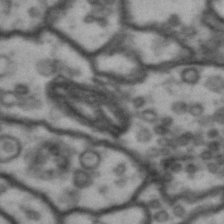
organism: Drosophila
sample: Brain